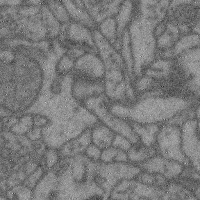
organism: Mouse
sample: Cerebral cortex